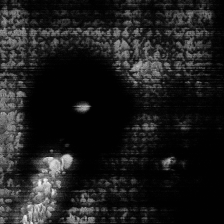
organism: Human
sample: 1205lu cells